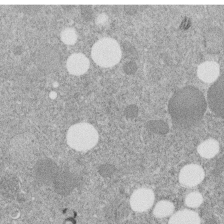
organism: C. elegans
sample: C. elegans embryo early stage